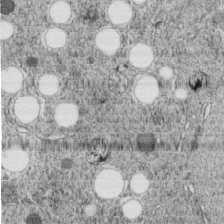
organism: C. elegans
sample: C. elegans embryo early stage